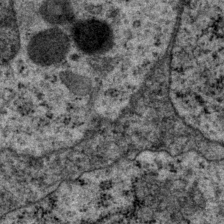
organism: P. pacificus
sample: Pharynx